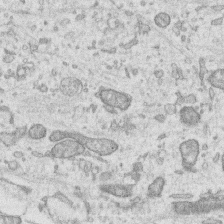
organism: Human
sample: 1205lu cells